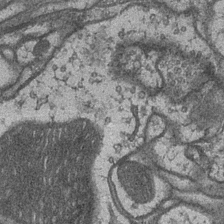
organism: Drosophila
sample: Optic medulla